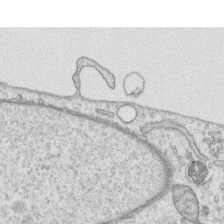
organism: Human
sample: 1205lu cells